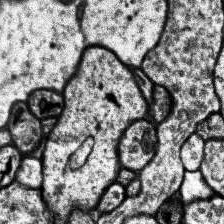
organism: Human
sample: Temporal Lobe